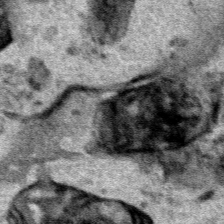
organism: Human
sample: Mitochondria in HCT116 cells